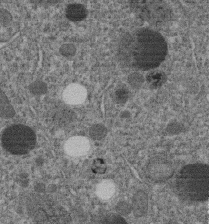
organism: C. elegans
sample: C. elegans embryo early stage